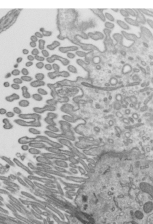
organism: Mouse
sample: Mouse epididymis efferent ductule cilia